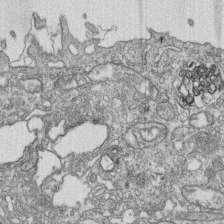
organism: Human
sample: HeLa cell HIV synapse